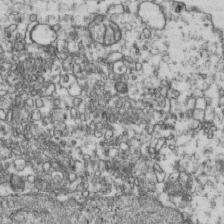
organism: Human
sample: Activated Jurkat CD4+ T cells